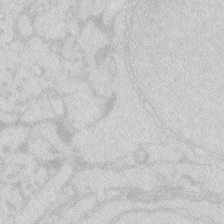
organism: Zebrafish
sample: Macrophage